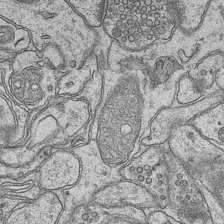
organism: Mouse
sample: CA1 Hippocampus